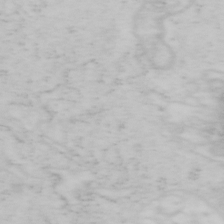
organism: Mouse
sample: OT-I killer T cells with ID8 ovarian cancer cells